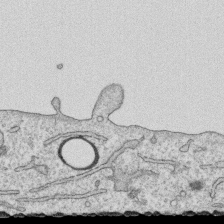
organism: Human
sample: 1205lu cells